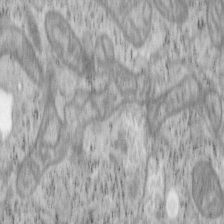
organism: Human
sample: HeLa cells